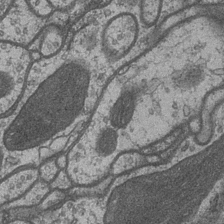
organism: Drosophila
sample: Optic medulla